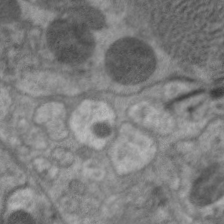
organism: C. elegans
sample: Pharynx